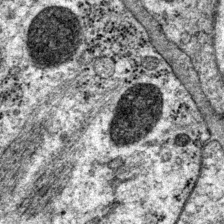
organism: P. pacificus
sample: Pharynx